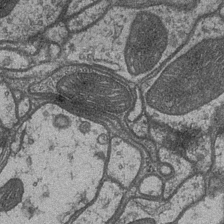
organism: Drosophila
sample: Optic medulla